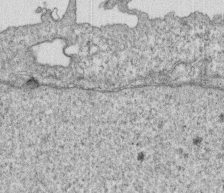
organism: Human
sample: HeLa cell HIV synapse